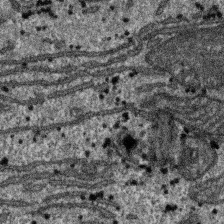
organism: Human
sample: Lung epithelial cells infected with SARS-CoV-2